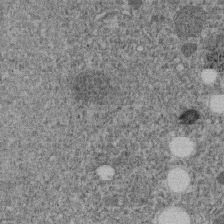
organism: C. elegans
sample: C. elegans embryo early stage